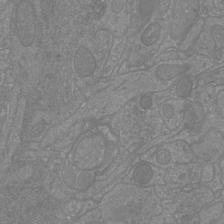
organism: Mouse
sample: Cortical neurons